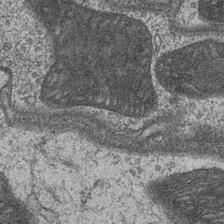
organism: Drosophila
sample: Optic medulla